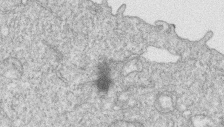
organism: Human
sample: HeLa cell HIV synapse